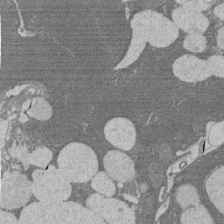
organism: Rat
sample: Salivary granule